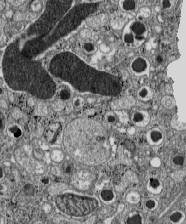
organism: C57BL Mouse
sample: Pancreatic islet